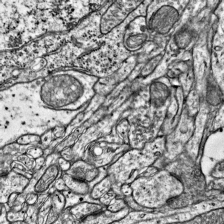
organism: Mouse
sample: Visual Cortex